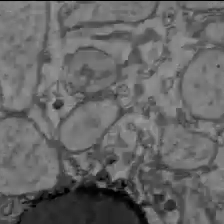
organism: C57BL Mouse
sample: Liver